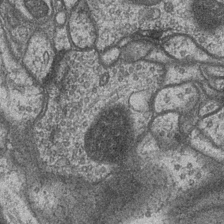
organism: Drosophila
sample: Optic medulla